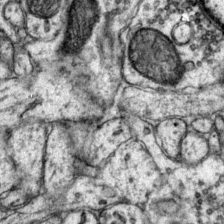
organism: Mouse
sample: Primary visual cortex